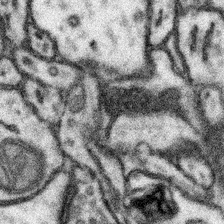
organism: Mouse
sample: Somatosensory cortex neuropil